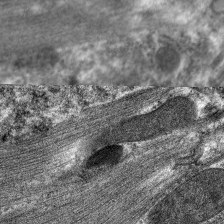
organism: C. elegans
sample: Pharynx